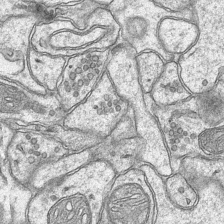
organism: Mouse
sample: CA1 Hippocampus